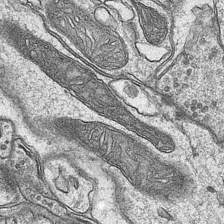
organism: Mouse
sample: CA1 Hippocampus